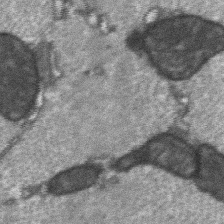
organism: C57BL Mouse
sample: Soleus